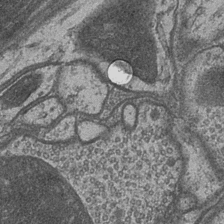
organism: Drosophila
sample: Optic medulla